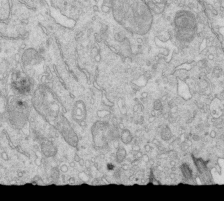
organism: Mouse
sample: Multiciliated cells